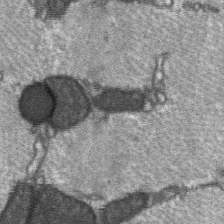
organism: C57BL Mouse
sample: Soleus